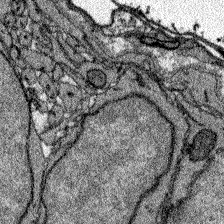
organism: Zebrafish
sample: Larval olfactory bulb